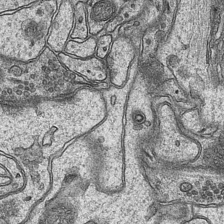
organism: Mouse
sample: CA1 Hippocampus